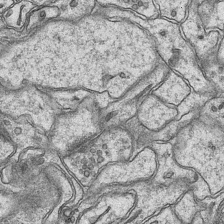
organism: Mouse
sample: CA1 Hippocampus